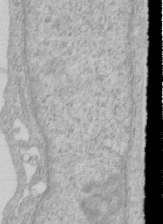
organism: Human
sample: Centriole in RPE cells